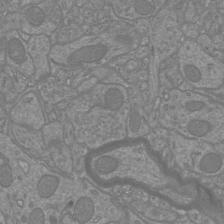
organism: Mouse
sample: Cortical neurons